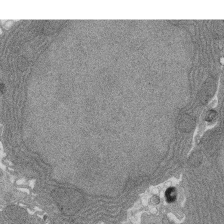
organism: Rat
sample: Salivary granule